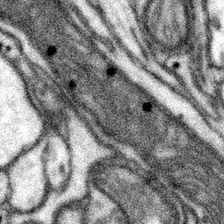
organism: Mouse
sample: Somatosensory cortex neuropil